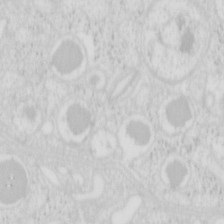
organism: Mouse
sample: Pancreas